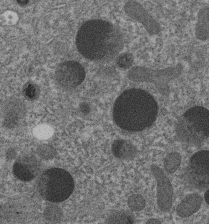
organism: C. elegans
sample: C. elegans embryo early stage